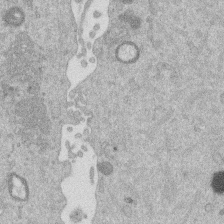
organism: Mouse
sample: Dividing mouse embryo 1 cell stage